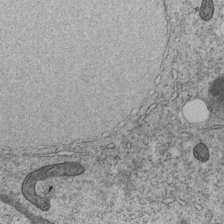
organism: C. elegans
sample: C. elegans embryo early stage